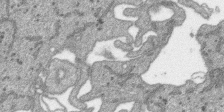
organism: Human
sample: Lung epithelial cells infected with SARS-CoV-2